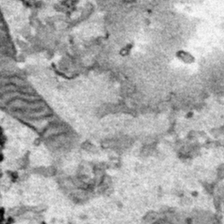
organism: Human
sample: Mitochondria in HCT116 cells